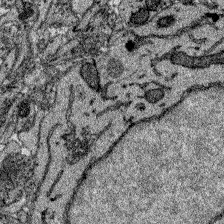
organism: Zebrafish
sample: Larval olfactory bulb